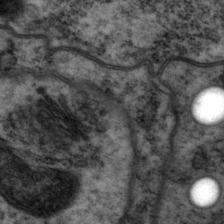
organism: P. pacificus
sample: Pharynx